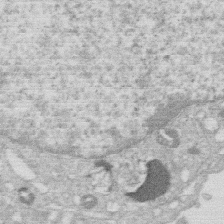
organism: Human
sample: Macrophage cells